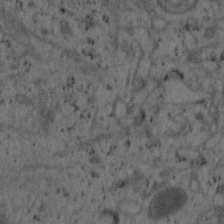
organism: Human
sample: HeLa cells